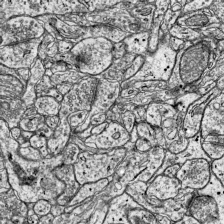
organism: Mouse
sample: Visual Cortex